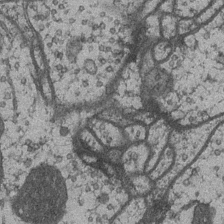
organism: Drosophila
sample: Optic medulla